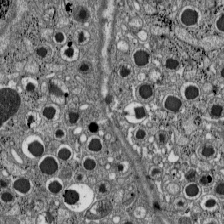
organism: C57BL Mouse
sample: Pancreatic islet